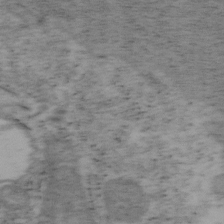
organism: Mouse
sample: OT-I killer T cells with ID8 ovarian cancer cells